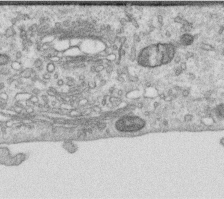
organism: Human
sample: Centriole in RPE cells